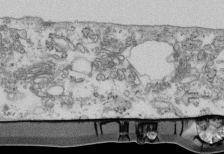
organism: Mouse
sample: Cilia; retinal pigment epithelium